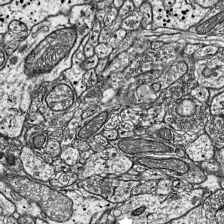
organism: Mouse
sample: Visual Cortex